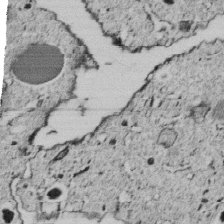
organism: C. elegans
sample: C. elegans embryo early stage